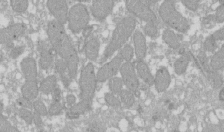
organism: Xenopus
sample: Cilia; centrioles in frog embryo cells